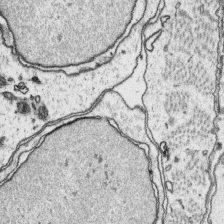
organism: Platynereis dumerilii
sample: Parapodia